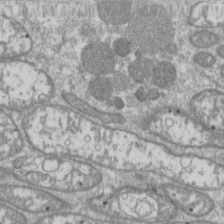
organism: Drosophila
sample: Cell division; meiosis; drosophila spermatocytes